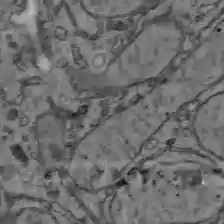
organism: C57BL Mouse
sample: Liver